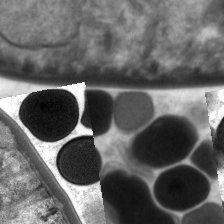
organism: C. elegans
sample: Pharynx